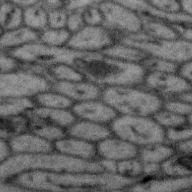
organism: Zebra finch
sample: Brain